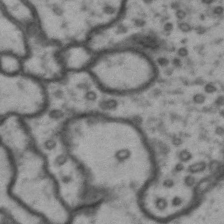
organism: Drosophila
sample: Brain